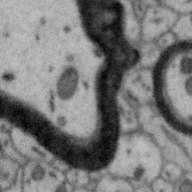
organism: Zebra finch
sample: Brain